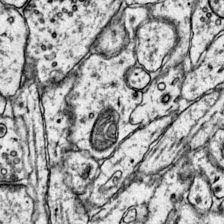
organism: Mouse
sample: Primary visual cortex